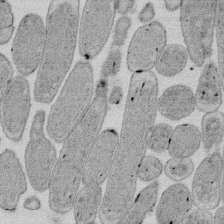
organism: E. coli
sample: Bacterial nucleoid